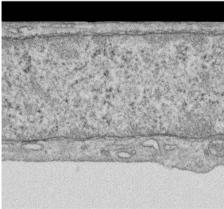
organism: Human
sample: Centriole in RPE cells